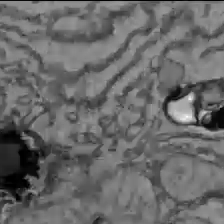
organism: C57BL Mouse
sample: Liver